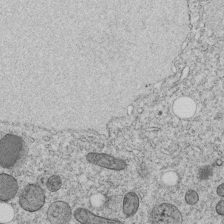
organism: C. elegans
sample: C. elegans embryo early stage